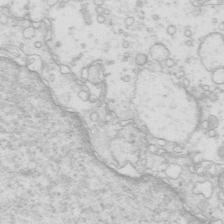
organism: Mouse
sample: Multiciliated cells